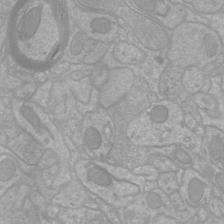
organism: Mouse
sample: Cortical neurons